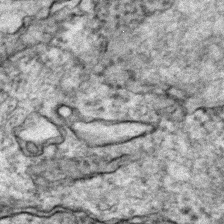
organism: Zebrafish